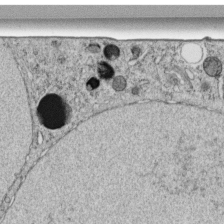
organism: C. elegans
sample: C. elegans embryo early stage